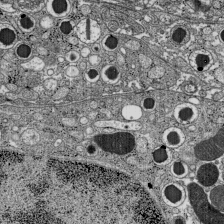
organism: C57BL Mouse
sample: Pancreatic islet